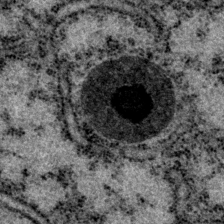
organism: P. pacificus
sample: Pharynx